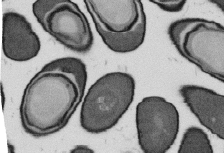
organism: B. subtilis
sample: Bacterial spore